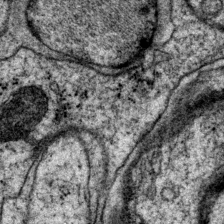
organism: P. pacificus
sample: Pharynx